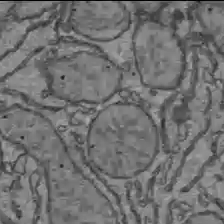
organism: C57BL Mouse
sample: Liver